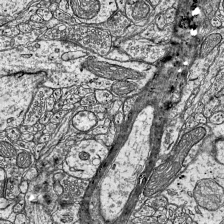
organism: Mouse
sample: Visual Cortex